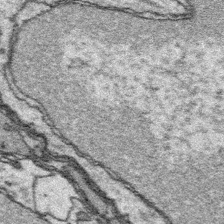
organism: Platynereis dumerilii